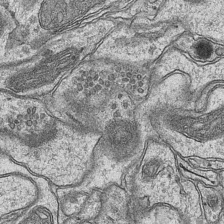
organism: Mouse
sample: CA1 Hippocampus